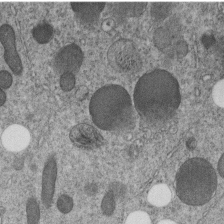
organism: C. elegans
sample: C. elegans embryo early stage